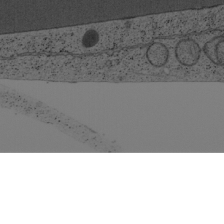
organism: African green monkey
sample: COS-7 cells